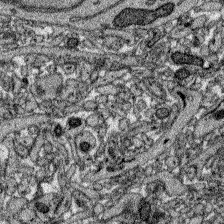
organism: Zebrafish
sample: Larval olfactory bulb